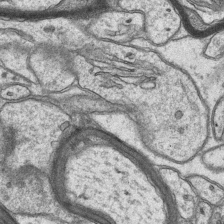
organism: Mouse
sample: CA1 Hippocampus